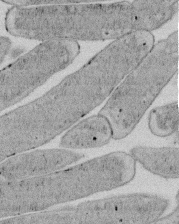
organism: E. coli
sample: Bacterial nucleoid